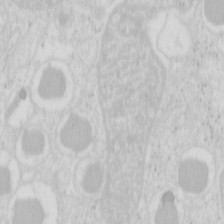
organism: Mouse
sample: Pancreas